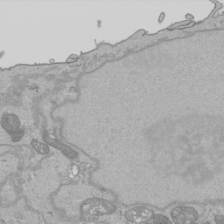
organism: Human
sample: Mitochondria in HCT116 cells